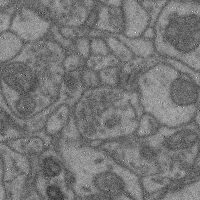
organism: Mouse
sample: Cerebral cortex